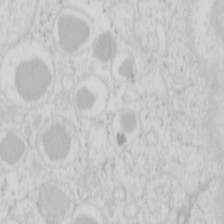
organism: Mouse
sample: Pancreas